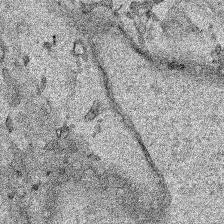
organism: Human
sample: Mitochondria in HCT116 cells